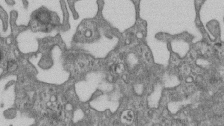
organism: Mouse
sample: Centriole in ependymal cells